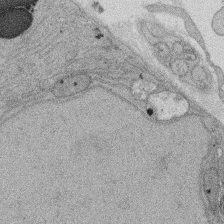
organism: Rat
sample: Salivary granule